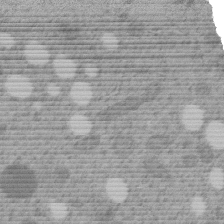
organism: C. elegans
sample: C. elegans embryo early stage